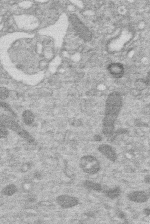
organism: Human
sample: Macrophage cells